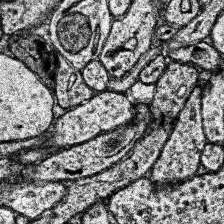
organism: Human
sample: Temporal Lobe